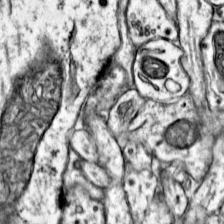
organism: Mouse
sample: Primary visual cortex